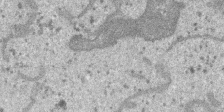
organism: Human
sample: Lung epithelial cells infected with SARS-CoV-2